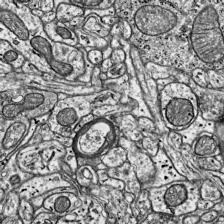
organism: Mouse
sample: Visual Cortex